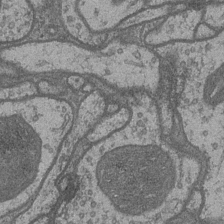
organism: Drosophila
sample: Optic medulla